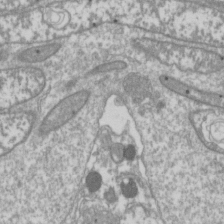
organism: Drosophila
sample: Cell division; meiosis; drosophila spermatocytes